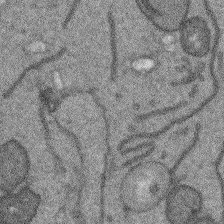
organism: Arabidopsis thaliana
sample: Root tip